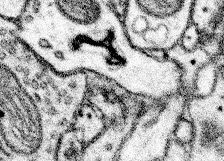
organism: Mouse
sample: Somatosensory cortex neuropil